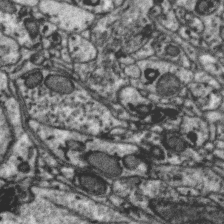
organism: Zebra finch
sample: Brain